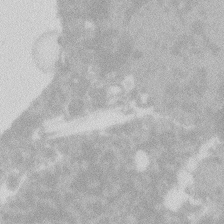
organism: Zebrafish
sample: Macrophage